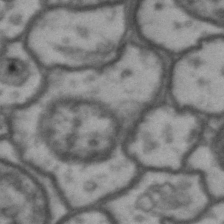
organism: Drosophila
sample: Brain